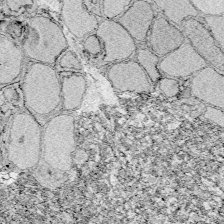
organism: Zebrafish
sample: Whole-Brain